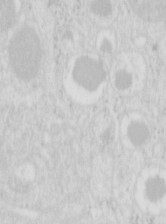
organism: Mouse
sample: Pancreas